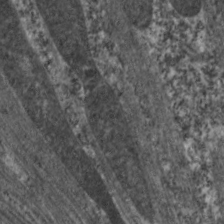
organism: C. elegans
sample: Pharynx